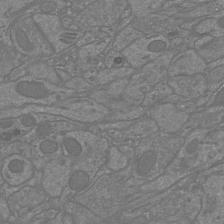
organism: Mouse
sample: Cortical neurons